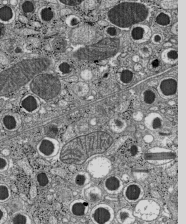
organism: C57BL Mouse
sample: Pancreatic islet